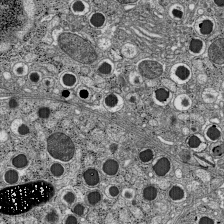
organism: C57BL Mouse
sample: Pancreatic islet